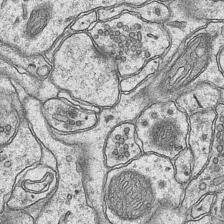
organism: Mouse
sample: CA1 Hippocampus